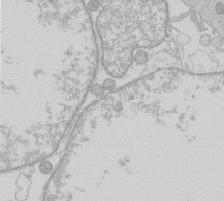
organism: Human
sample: Macrophage cells